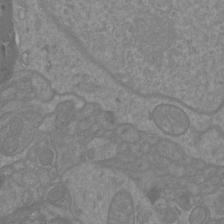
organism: Mouse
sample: Cortical neurons